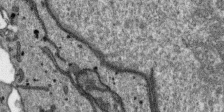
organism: Human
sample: Lung epithelial cells, uninfected (mock) control